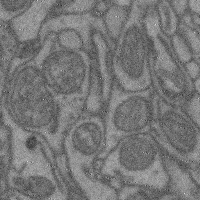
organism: Mouse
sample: Cerebral cortex